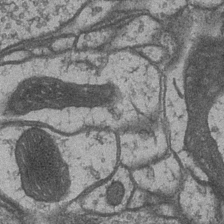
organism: Drosophila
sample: Optic medulla